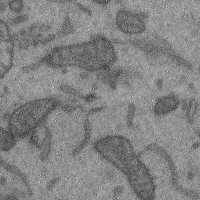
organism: Mouse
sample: Cerebral cortex